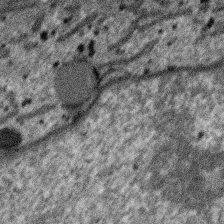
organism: Human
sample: Lung epithelial cells infected with SARS-CoV-2